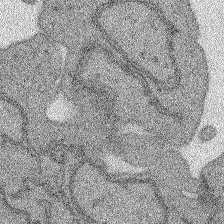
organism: Human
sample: HeLa cells